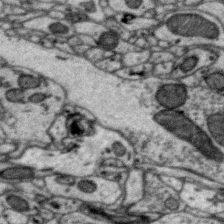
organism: Zebra finch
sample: Brain